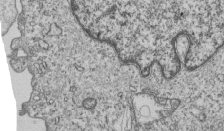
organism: Human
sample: MDA-MB-231 cells